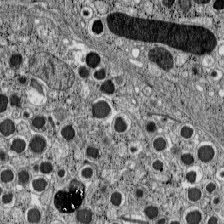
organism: C57BL Mouse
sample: Pancreatic islet